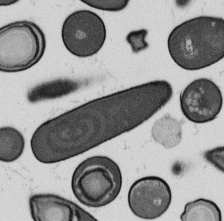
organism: B. subtilis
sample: Bacterial spore